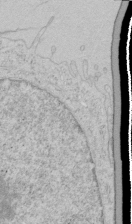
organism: Human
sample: Mitochondria in HCT116 cells